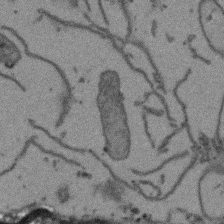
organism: Arabidopsis thaliana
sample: Root tip